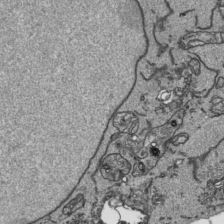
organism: Human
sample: Mitochondria in HCT116 cells